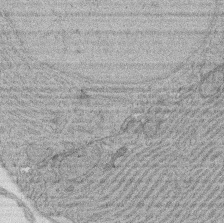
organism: Rat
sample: Salivary granule